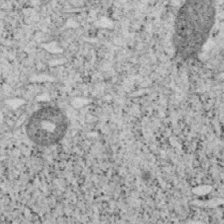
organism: Mouse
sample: OT-I killer T cells with ID8 ovarian cancer cells